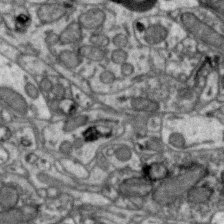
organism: Zebra finch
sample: Brain